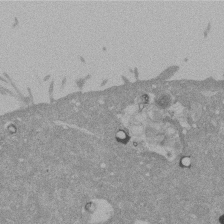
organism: Mouse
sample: ED-1 cell nuclei; centrioles